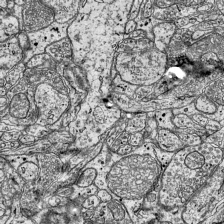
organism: Mouse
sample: Visual Cortex